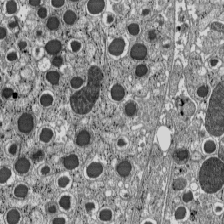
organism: C57BL Mouse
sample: Pancreatic islet